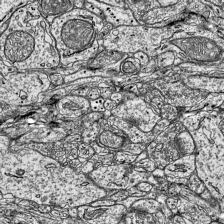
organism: Mouse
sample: Visual Cortex